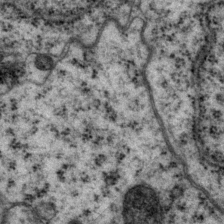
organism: P. pacificus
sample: Pharynx